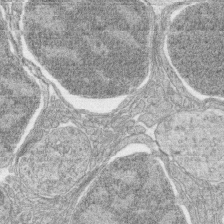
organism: Zebrafish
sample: synaptic ribbons in rod cells and cone cells